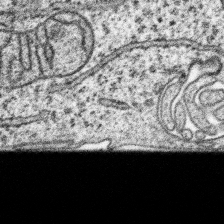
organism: Human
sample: HeLa cells